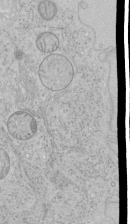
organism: Human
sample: Mitochondria in HCT116 cells